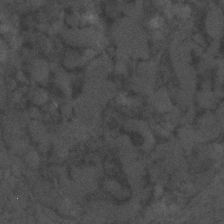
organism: C. elegans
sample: C. elegans embryo